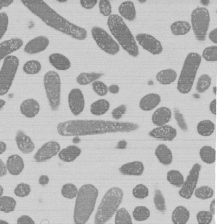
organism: E. coli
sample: Bacterial nucleoid